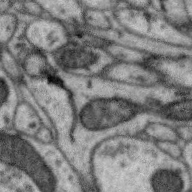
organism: Zebra finch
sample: Brain